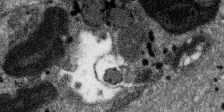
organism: Human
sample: Lung epithelial cells infected with SARS-CoV-2